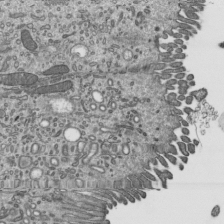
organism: Mouse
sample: Mouse epididymis efferent ductule cilia